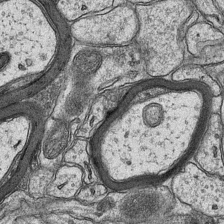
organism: Mouse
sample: CA1 Hippocampus